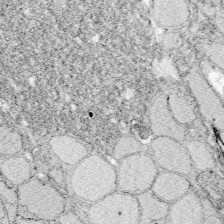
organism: Zebrafish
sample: Whole-Brain